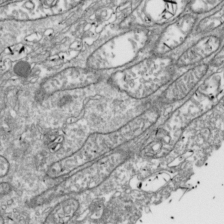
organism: Drosophila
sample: Cell division; meiosis; drosophila spermatocytes